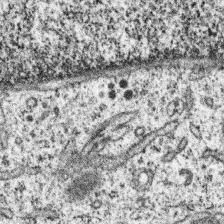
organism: Human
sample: HeLa cells